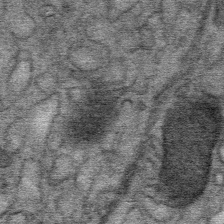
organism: Mouse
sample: Mouse Salivary gland